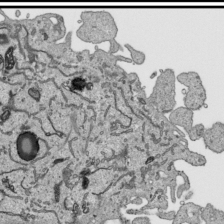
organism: Human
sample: Mitochondria in HCT116 cells